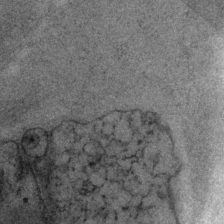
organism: P. pacificus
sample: Pharynx